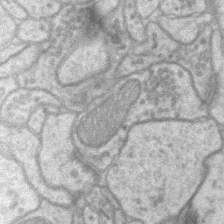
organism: Mouse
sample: CA1 Hippocampus